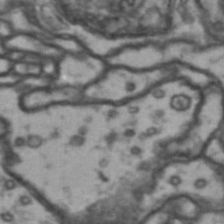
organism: Drosophila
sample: Brain